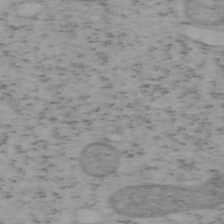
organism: Mouse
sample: OT-I killer T cells with ID8 ovarian cancer cells